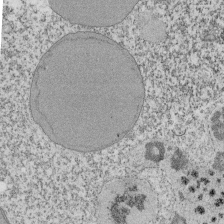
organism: Tetrahymena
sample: Cilia in tetrahymena